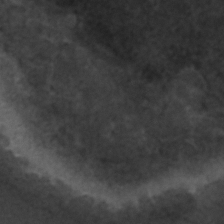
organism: C. elegans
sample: C. elegans embryo